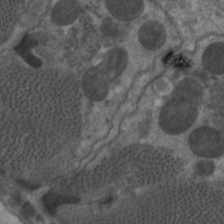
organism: C. elegans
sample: Pharynx